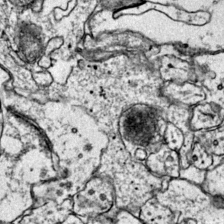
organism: Mouse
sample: Primary visual cortex